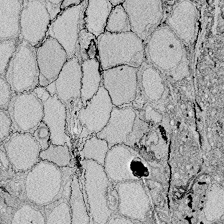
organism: Zebrafish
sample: Whole-Brain